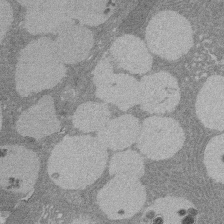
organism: Rat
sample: Salivary granule